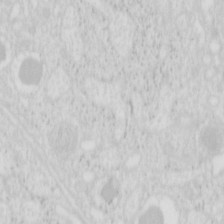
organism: Mouse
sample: Pancreas